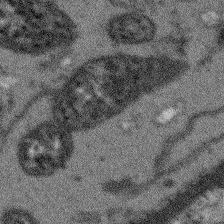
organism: Arabidopsis thaliana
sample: Root tip